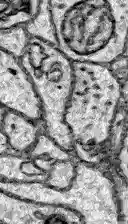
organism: Zebrafish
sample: Brain